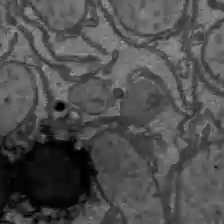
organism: C57BL Mouse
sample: Liver